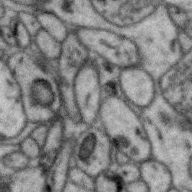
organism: Zebra finch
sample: Brain